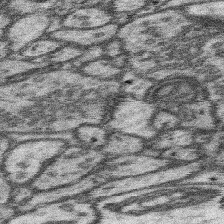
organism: Mouse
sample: Somatosensory cortex neuropil